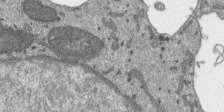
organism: Human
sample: Lung epithelial cells infected with SARS-CoV-2